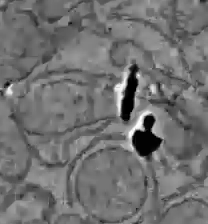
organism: C57BL Mouse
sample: Liver